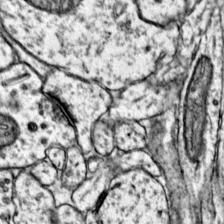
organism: Mouse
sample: Primary visual cortex